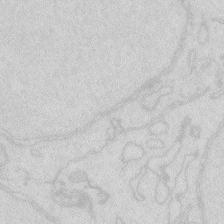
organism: Zebrafish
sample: Macrophage